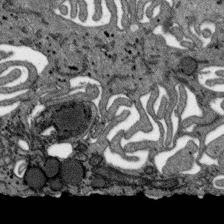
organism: Human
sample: Lung epithelial cells, uninfected (mock) control